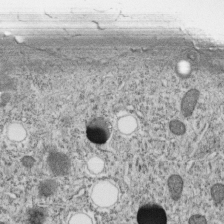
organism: C. elegans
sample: C. elegans embryo early stage